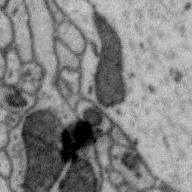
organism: Zebra finch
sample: Brain